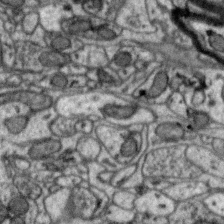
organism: Zebra finch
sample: Brain